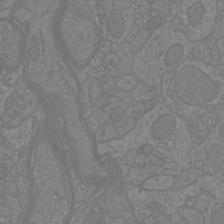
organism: Mouse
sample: Cortical neurons